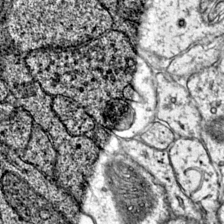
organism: Mouse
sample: Primary visual cortex